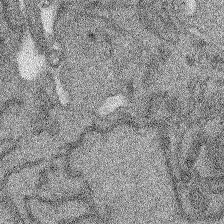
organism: Human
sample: HeLa cells